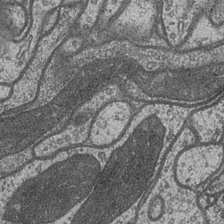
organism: Drosophila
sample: Optic medulla